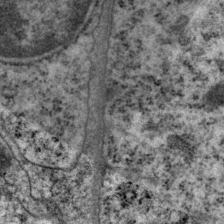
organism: P. pacificus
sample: Pharynx